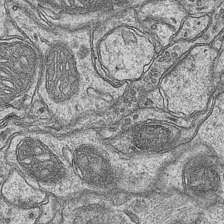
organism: Mouse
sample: CA1 Hippocampus